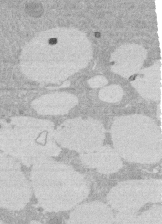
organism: Rat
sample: Salivary granule